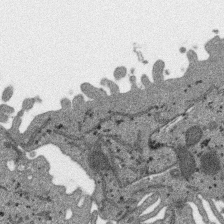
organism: Human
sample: Lung epithelial cells infected with SARS-CoV-2